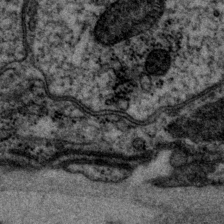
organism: P. pacificus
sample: Pharynx